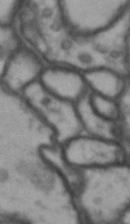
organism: Drosophila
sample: Brain